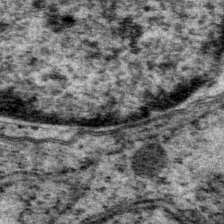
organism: P. pacificus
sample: Pharynx